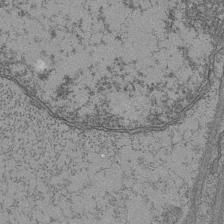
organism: Mouse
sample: CA1 Hippocampus